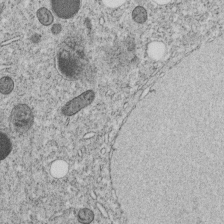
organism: C. elegans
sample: C. elegans embryo early stage